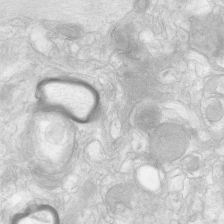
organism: Human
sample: Neocortex